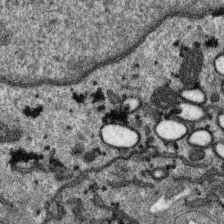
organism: Human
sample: Lung epithelial cells infected with SARS-CoV-2